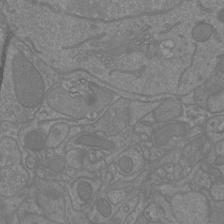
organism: Mouse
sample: Cortical neurons